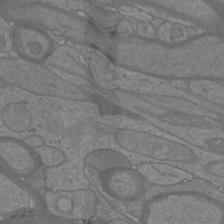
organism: Mouse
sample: Cortical neurons